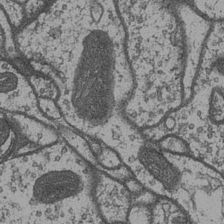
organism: Drosophila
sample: Optic medulla